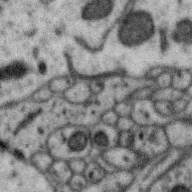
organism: Zebra finch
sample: Brain